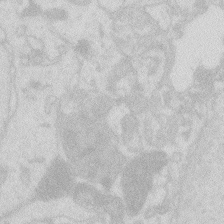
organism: Zebrafish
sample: Macrophage